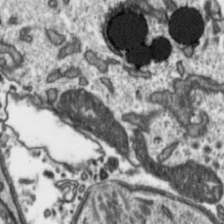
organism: Toxoplasma gondii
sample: Parasites in a vacuole inside a host cell